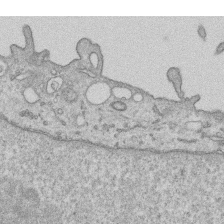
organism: Human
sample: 1205lu cells